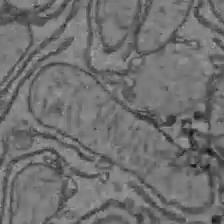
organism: C57BL Mouse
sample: Liver